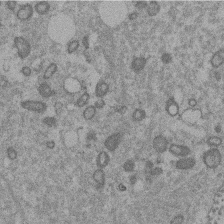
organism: Mouse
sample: Dividing mouse embryo 1 cell stage